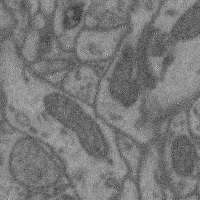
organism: Mouse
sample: Cerebral cortex